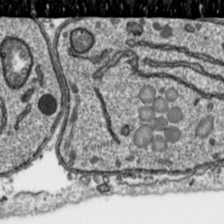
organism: Toxoplasma gondii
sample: Parasites in a vacuole inside a host cell